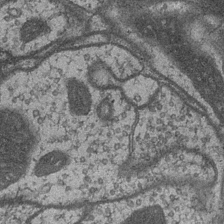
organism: Drosophila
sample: Optic medulla